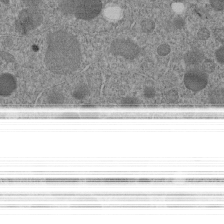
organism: C. elegans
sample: C. elegans embryo early stage